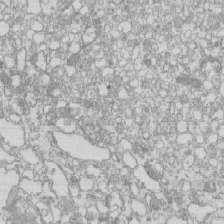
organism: Mouse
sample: Macrophages